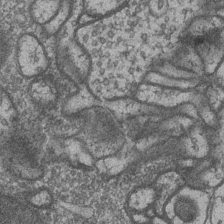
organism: Drosophila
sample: Optic medulla